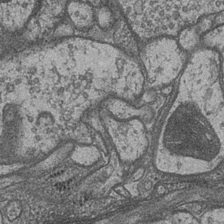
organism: Drosophila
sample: Optic medulla